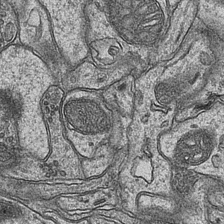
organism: Mouse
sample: CA1 Hippocampus